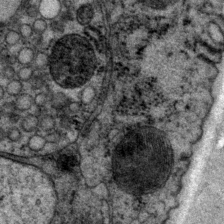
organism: P. pacificus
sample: Pharynx